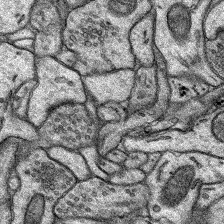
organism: Rat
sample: Hippocampus